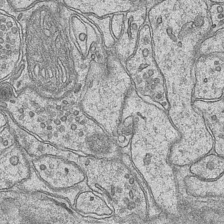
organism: Mouse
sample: CA1 Hippocampus